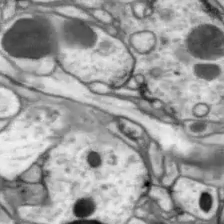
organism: Drosophila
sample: Optic lobe